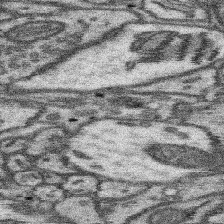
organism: Mouse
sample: Somatosensory cortex neuropil